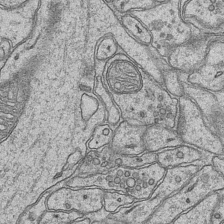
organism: Mouse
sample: CA1 Hippocampus